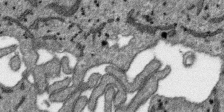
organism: Human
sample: Lung epithelial cells, uninfected (mock) control